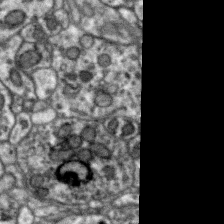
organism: Zebra finch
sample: Brain